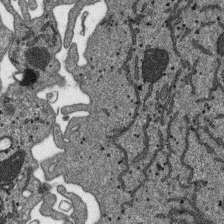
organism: Human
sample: Lung epithelial cells infected with SARS-CoV-2